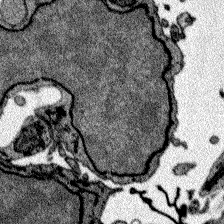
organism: Zebrafish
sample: Larval olfactory bulb